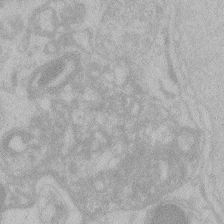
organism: Zebrafish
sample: Macrophage infected with Toxoplasma gondii